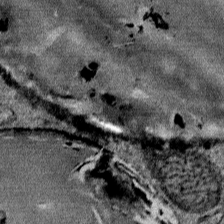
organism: Mouse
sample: Mouse Salivary gland